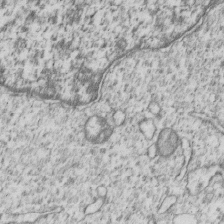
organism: Human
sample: MDA-MB-231 cells